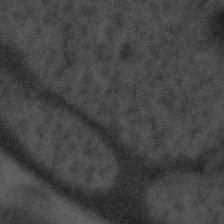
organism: Tuwongella immobilis